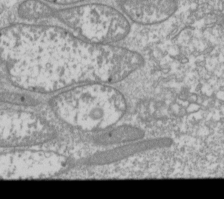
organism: Drosophila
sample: Cell division; meiosis; drosophila spermatocytes